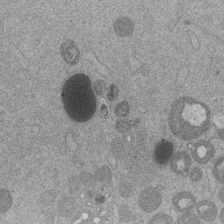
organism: Mouse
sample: Dividing mouse embryo 1 cell stage